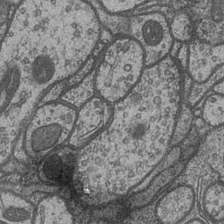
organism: Drosophila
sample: Optic medulla